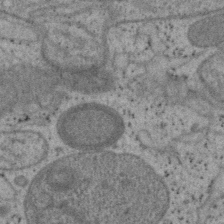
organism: Human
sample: HeLa cells